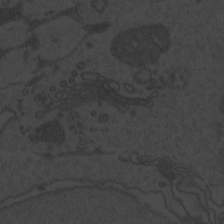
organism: Zebrafish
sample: Macrophage infected with Toxoplasma gondii